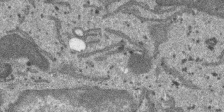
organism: Human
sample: Lung epithelial cells infected with SARS-CoV-2